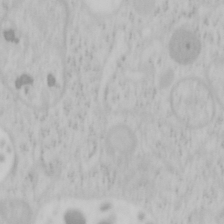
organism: Mouse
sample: OT-I killer T cells with ID8 ovarian cancer cells